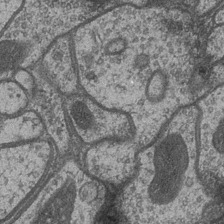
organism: Drosophila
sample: Optic medulla